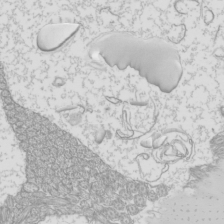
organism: Mouse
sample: Cilia; mouse epididymis